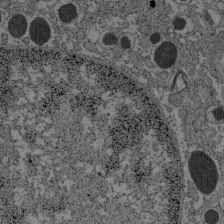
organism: C57BL Mouse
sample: Pancreatic islet